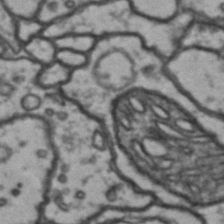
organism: Drosophila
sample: Brain